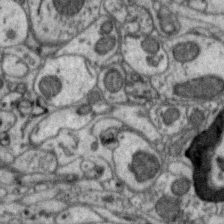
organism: Zebra finch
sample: Brain